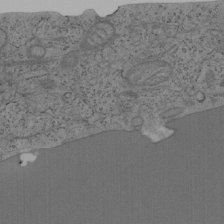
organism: Human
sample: HeLa cells